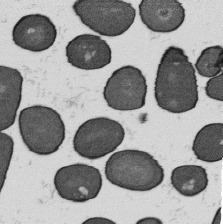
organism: B. subtilis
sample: Bacterial spore